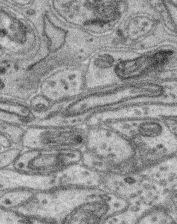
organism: Mouse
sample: Retina